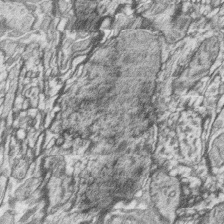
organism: Zebrafish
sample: synaptic ribbons in rod cells and cone cells